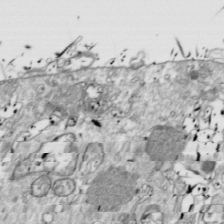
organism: Drosophila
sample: Cell division; meiosis; drosophila spermatocytes